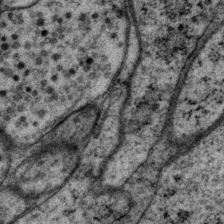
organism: P. pacificus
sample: Pharynx